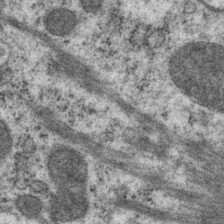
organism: P. pacificus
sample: Pharynx